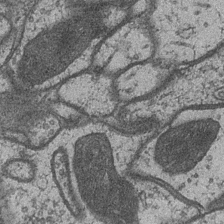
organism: Drosophila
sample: Optic medulla